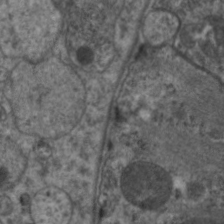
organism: C. elegans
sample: Pharynx